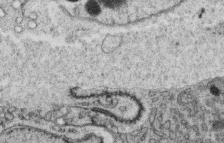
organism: C. elegans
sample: C. elegans oocyte; sperm cells